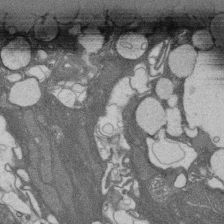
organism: Rat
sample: Salivary granule